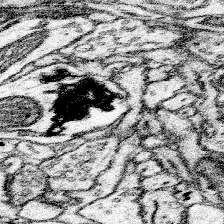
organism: Mouse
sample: Somatosensory cortex neuropil